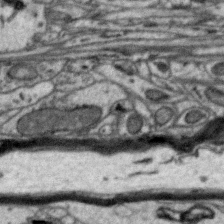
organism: Zebra finch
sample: Brain